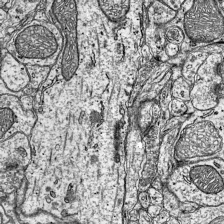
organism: Mouse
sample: Visual Cortex